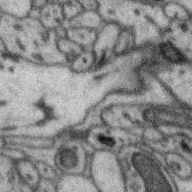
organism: Zebra finch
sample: Brain